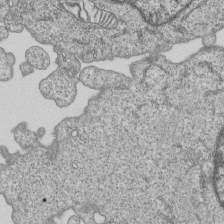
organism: Human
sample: MDA-MB-231 cells